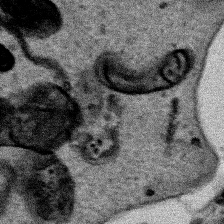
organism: Human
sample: Mitochondria in HCT116 cells